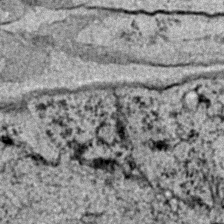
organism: C. elegans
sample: C. elegans embryo